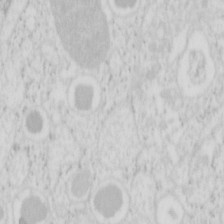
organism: Mouse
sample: Pancreas